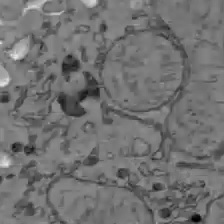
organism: C57BL Mouse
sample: Liver